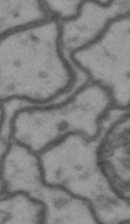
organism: Drosophila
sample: Brain